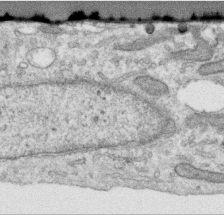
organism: Human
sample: Centriole in RPE cells